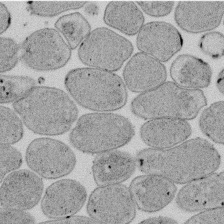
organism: E. coli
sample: Bacterial nucleoid